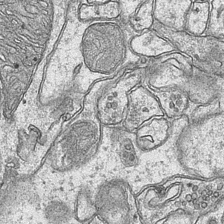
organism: Mouse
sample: CA1 Hippocampus